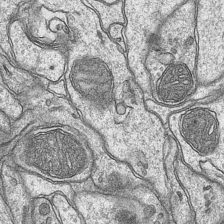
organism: Mouse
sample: CA1 Hippocampus